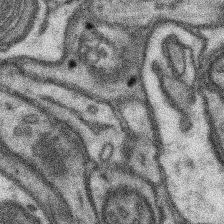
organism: Mouse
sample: Somatosensory cortex neuropil